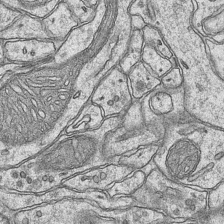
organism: Mouse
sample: CA1 Hippocampus